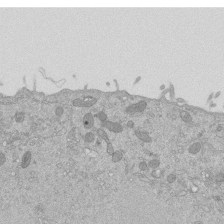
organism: Mouse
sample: ED-1 cell nuclei; centrioles